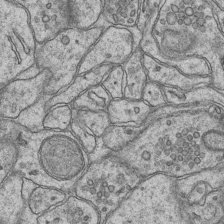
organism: Mouse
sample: CA1 Hippocampus